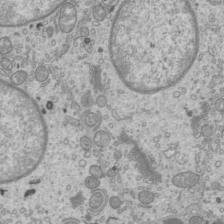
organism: Mouse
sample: Cilia; mouse epididymis